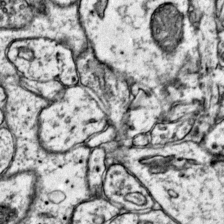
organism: Mouse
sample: Primary visual cortex